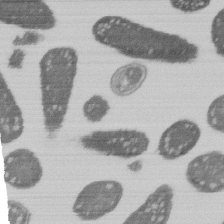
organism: E. coli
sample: Bacterial nucleoid